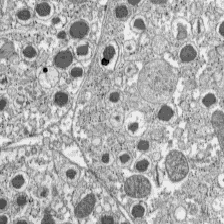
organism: C57BL Mouse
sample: Pancreatic islet